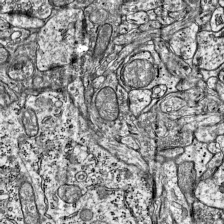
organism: Mouse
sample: Visual Cortex